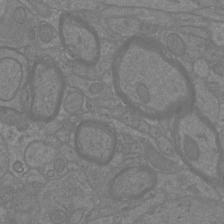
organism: Mouse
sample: Cortical neurons